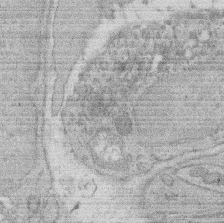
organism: Rat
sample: Salivary granule